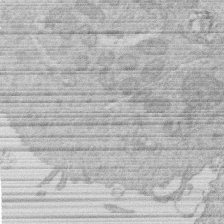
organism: Human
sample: Macrophage cells